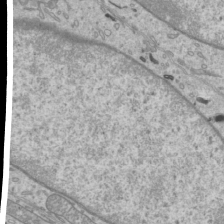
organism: Mouse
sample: Cilia; mouse epididymis